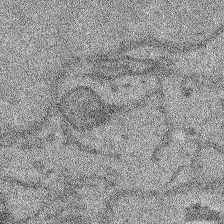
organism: Human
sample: HeLa cells